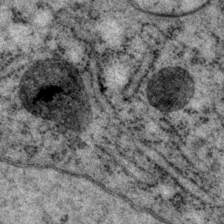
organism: P. pacificus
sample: Pharynx